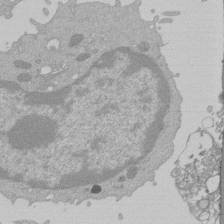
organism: Mouse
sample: Activated Pmel transgenic CD8+ T Cells